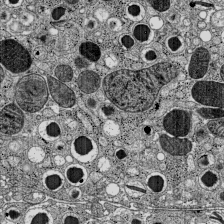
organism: C57BL Mouse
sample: Pancreatic islet